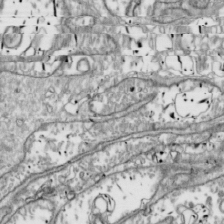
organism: Drosophila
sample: Cell division; meiosis; drosophila spermatocytes